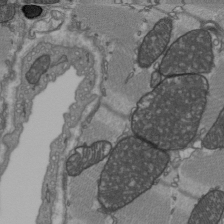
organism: C57BL Mouse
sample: Heart